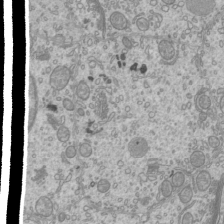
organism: Mouse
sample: Cilia; mouse epididymis